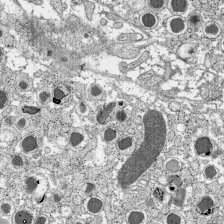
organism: C57BL Mouse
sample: Pancreatic islet